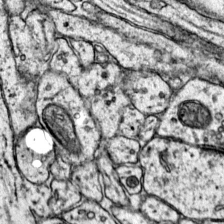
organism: Mouse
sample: Primary visual cortex